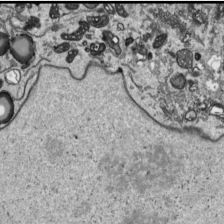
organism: Human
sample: Mitochondria in HCT116 cells